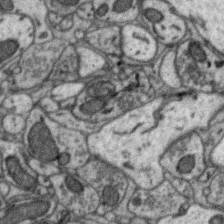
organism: Zebra finch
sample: Brain